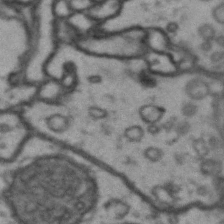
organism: Drosophila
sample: Brain